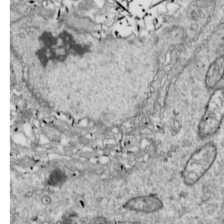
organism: Drosophila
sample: Cell division; meiosis; drosophila spermatocytes